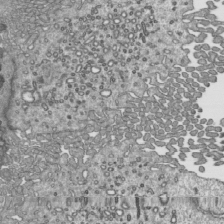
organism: Mouse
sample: Mouse epididymis efferent ductule cilia